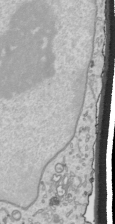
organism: Human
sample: Mitochondria in HCT116 cells